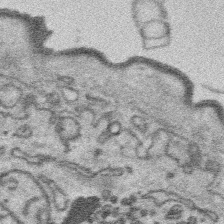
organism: Platynereis dumerilii